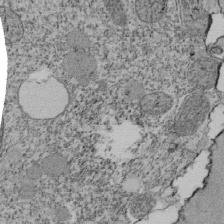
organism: Tetrahymena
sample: Cilia in tetrahymena